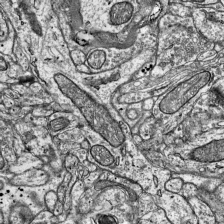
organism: Mouse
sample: Visual Cortex